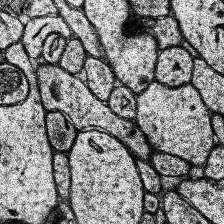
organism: Human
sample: Temporal Lobe